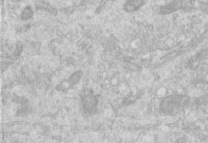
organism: Human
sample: Centriole in RPE cells